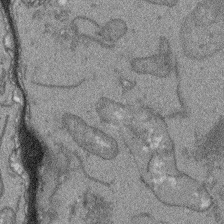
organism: Arabidopsis thaliana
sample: Root tip